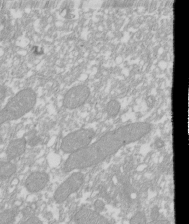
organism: Xenopus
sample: Cilia; centrioles in frog embryo cells